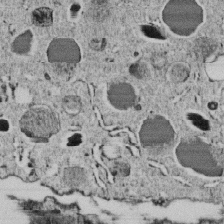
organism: C. elegans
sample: C. elegans embryo early stage